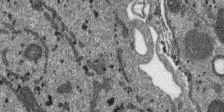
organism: Human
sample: Lung epithelial cells infected with SARS-CoV-2